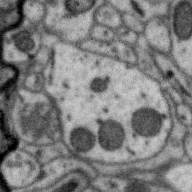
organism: Zebra finch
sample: Brain